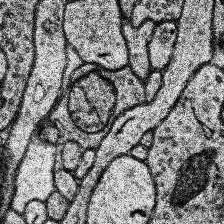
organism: Human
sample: Temporal Lobe